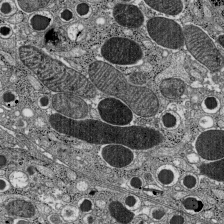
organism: C57BL Mouse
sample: Pancreatic islet